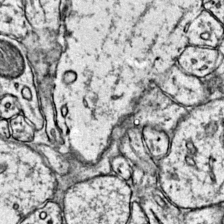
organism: Mouse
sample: Primary visual cortex